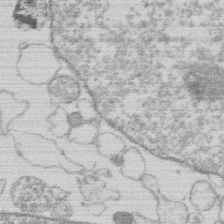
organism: Human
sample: Macrophage cells